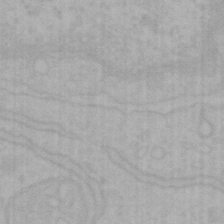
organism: Mouse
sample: Choroid plexus